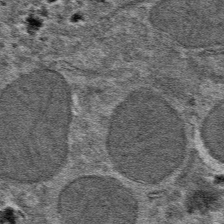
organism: Mouse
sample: Mouse hepatocytes